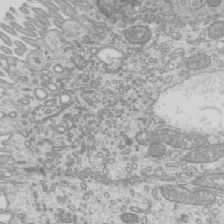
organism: Mouse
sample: Cilia; mouse epididymis